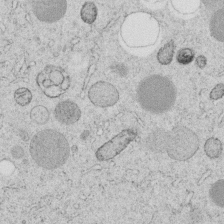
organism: C. elegans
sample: C. elegans embryo early stage